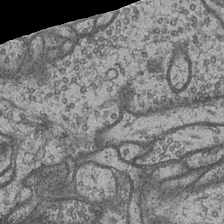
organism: Drosophila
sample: Optic medulla